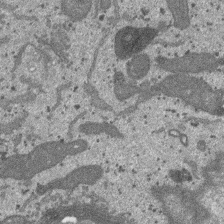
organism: Human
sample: Lung epithelial cells infected with SARS-CoV-2